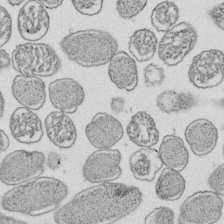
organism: E. coli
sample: Bacterial nucleoid